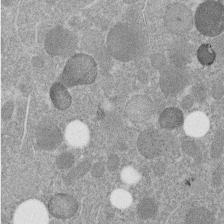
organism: C. elegans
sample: C. elegans embryo early stage